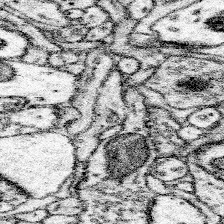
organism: Mouse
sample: Somatosensory cortex neuropil